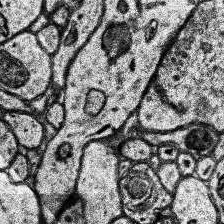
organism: Human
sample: Temporal Lobe